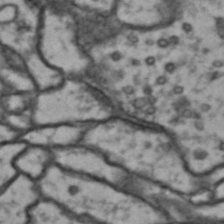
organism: Drosophila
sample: Brain